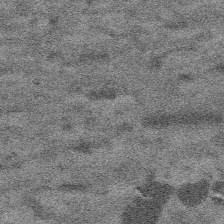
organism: Platynereis dumerilii